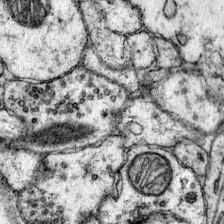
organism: Mouse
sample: Primary visual cortex